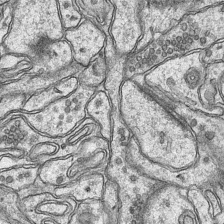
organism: Mouse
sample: CA1 Hippocampus